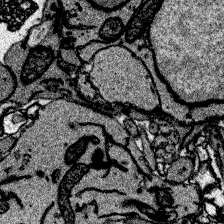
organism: Zebrafish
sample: Larval olfactory bulb